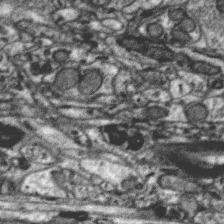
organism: Zebra finch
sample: Brain